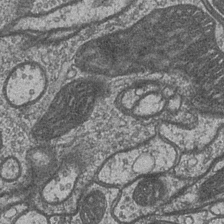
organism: Drosophila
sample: Optic medulla